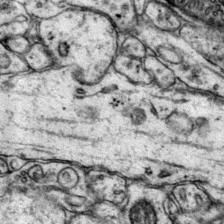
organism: Mouse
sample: Primary visual cortex